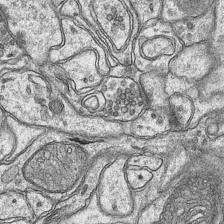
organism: Mouse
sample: CA1 Hippocampus